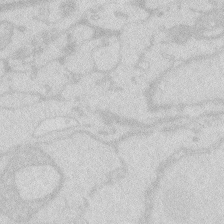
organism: Zebrafish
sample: Macrophage